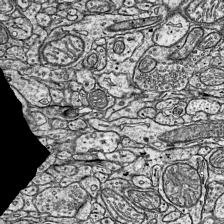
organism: Mouse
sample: Visual Cortex